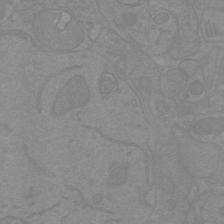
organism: Mouse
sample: Cortical neurons